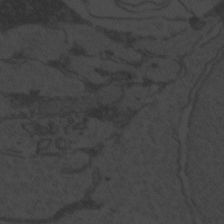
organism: Zebrafish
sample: Macrophage infected with Toxoplasma gondii